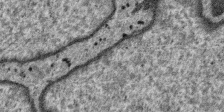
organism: Human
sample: Lung epithelial cells, uninfected (mock) control